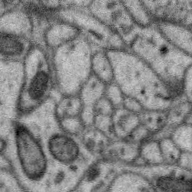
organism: Zebra finch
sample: Brain